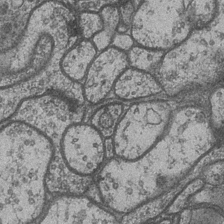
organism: Drosophila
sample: Optic medulla